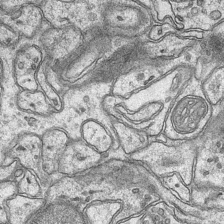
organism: Mouse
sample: CA1 Hippocampus